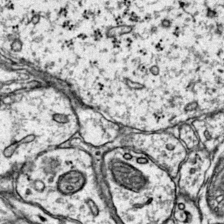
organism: Mouse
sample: Primary visual cortex